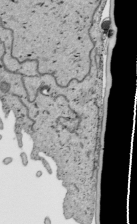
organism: Human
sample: Mitochondria in HCT116 cells